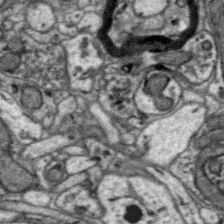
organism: Zebra finch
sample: Brain